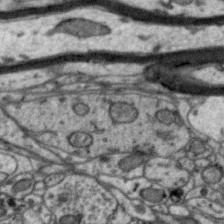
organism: Zebra finch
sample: Brain